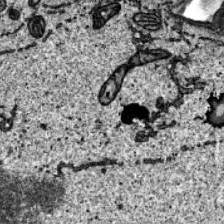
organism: Human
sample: HeLa cells